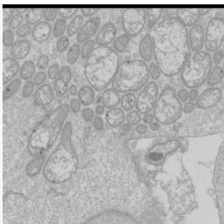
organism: Drosophila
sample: Cell division; meiosis; drosophila spermatocytes